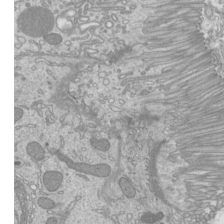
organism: Mouse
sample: Cilia; mouse epididymis